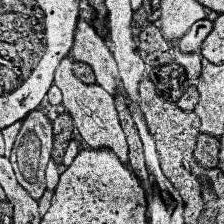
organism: Human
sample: Temporal Lobe